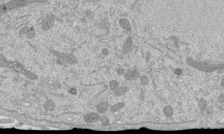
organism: Mouse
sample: ED-1 cell nuclei; centrioles